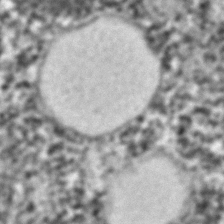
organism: C. elegans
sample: C. elegans embryo